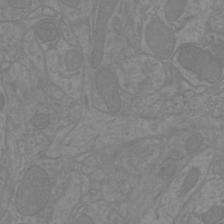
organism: Mouse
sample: Cortical neurons